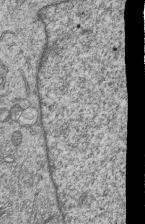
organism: Human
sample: MDA-MB-231 cells